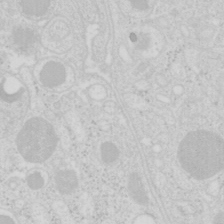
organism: Mouse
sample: Pancreas